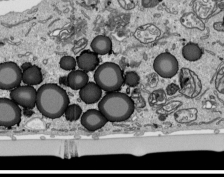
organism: Human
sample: Mitochondria in HCT116 cells